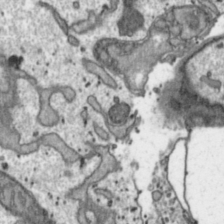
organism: Toxoplasma gondii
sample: Parasites in a vacuole inside a host cell